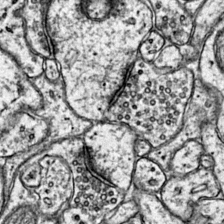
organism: Mouse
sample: Primary visual cortex